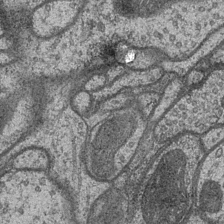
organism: Drosophila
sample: Optic medulla